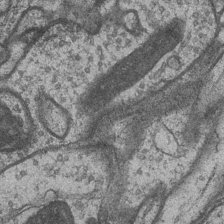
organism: Drosophila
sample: Optic medulla